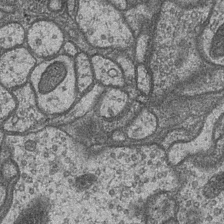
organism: Drosophila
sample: Optic medulla